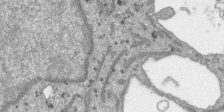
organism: Human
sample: Lung epithelial cells infected with SARS-CoV-2